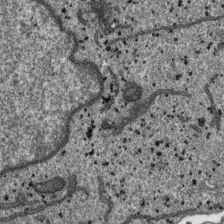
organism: Human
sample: Lung epithelial cells infected with SARS-CoV-2